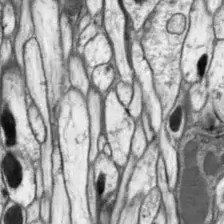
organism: Drosophila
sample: Optic lobe